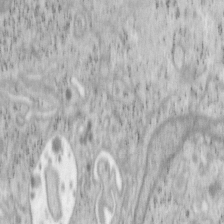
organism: Human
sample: HeLa cells